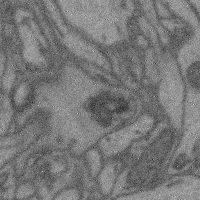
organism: Mouse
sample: Cerebral cortex